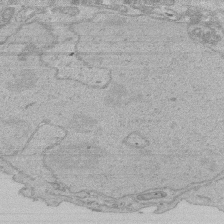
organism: Human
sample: Activated Jurkat CD4+ T cells